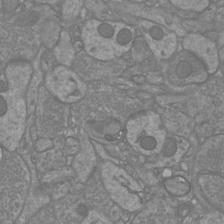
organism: Mouse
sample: Cortical neurons